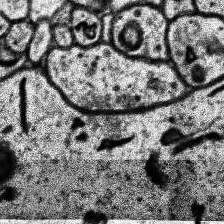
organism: Human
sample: Temporal Lobe